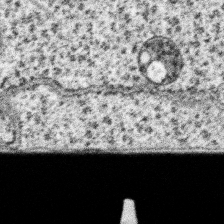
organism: Human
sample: HeLa cells